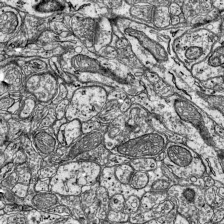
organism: Mouse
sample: Visual Cortex